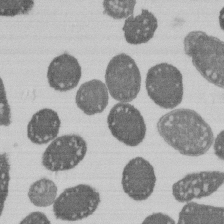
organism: E. coli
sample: Bacterial nucleoid